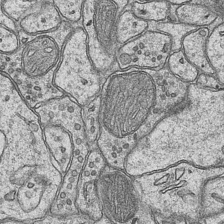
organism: Mouse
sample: CA1 Hippocampus